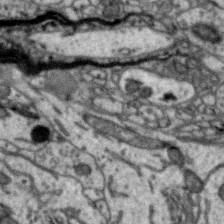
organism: Zebra finch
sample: Brain